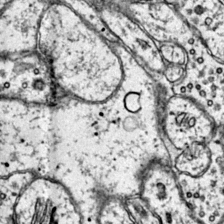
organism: Mouse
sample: Primary visual cortex